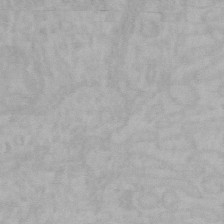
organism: Mouse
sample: Choroid plexus